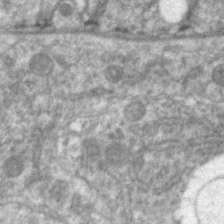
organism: C. elegans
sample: Pharynx